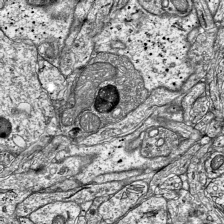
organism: Mouse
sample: Visual Cortex